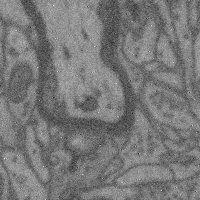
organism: Mouse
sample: Cerebral cortex